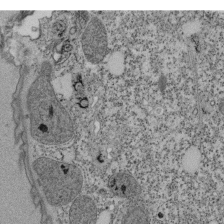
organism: Tetrahymena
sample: Cilia in tetrahymena